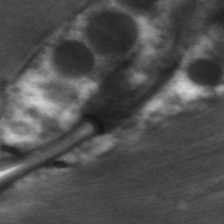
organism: C. elegans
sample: Pharynx